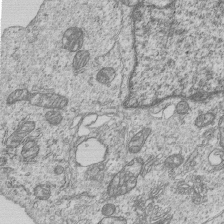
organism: Human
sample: MDA-MB-231 cells